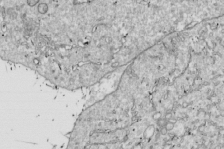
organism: Drosophila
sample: Cell division; meiosis; drosophila spermatocytes